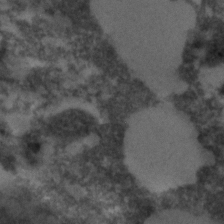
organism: C. elegans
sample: C. elegans embryo